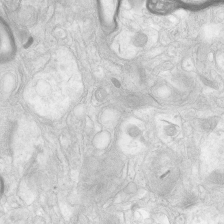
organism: Human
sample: Neocortex